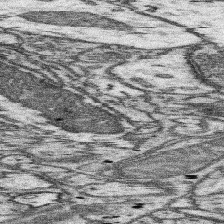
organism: Mouse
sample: Somatosensory cortex neuropil